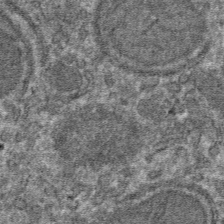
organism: Mouse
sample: Mouse hepatocytes